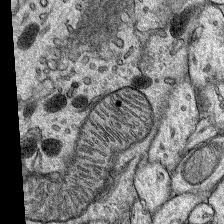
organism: Rat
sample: Hippocampus